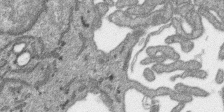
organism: Human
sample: Lung epithelial cells infected with SARS-CoV-2